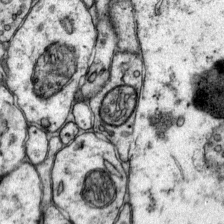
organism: Mouse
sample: Primary visual cortex